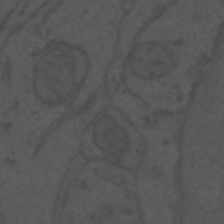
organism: Mouse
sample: Suprachiasmatic nucleus